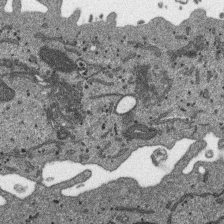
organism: Human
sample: Lung epithelial cells infected with SARS-CoV-2